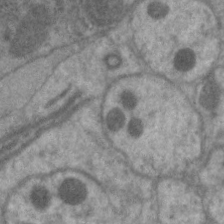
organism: C. elegans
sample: Pharynx